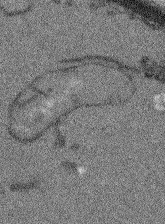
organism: Arabidopsis thaliana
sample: Root tip